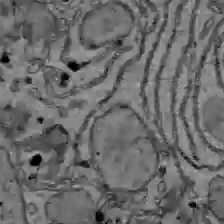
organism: C57BL Mouse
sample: Liver